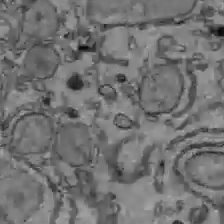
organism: C57BL Mouse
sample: Liver